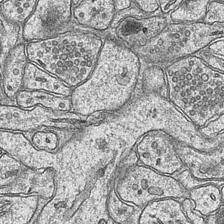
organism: Mouse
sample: CA1 Hippocampus